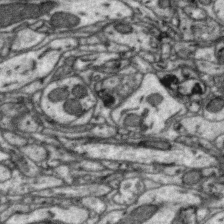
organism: Zebra finch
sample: Brain